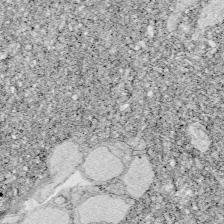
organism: Zebrafish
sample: Whole-Brain